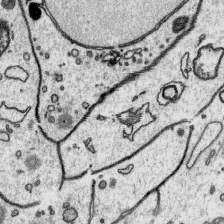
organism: Platynereis dumerilii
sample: Parapodia